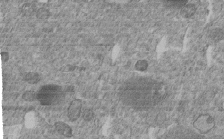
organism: C. elegans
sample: C. elegans embryo early stage